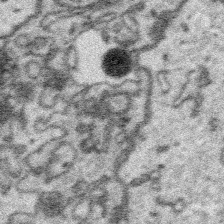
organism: Platynereis dumerilii